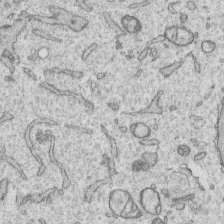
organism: Human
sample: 1205lu cells